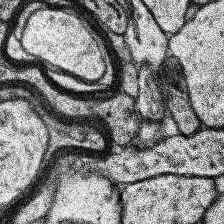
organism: Human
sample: Temporal Lobe